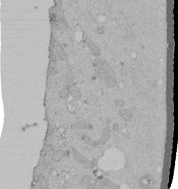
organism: Human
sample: Melanocyte Keratinocyte synapse skin construct